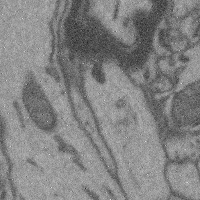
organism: Mouse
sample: Cerebral cortex